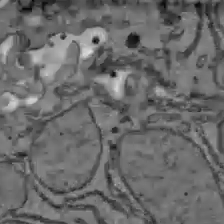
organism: C57BL Mouse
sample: Liver